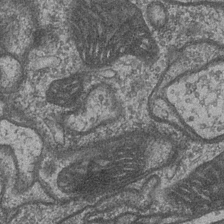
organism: Drosophila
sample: Optic medulla